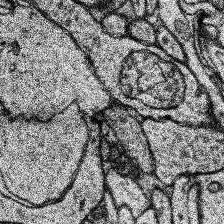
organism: Human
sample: Temporal Lobe